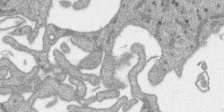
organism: Human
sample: Lung epithelial cells infected with SARS-CoV-2